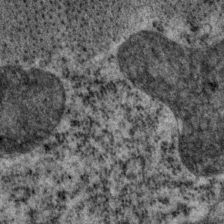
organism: P. pacificus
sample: Pharynx